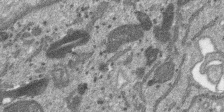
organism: Human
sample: Lung epithelial cells infected with SARS-CoV-2